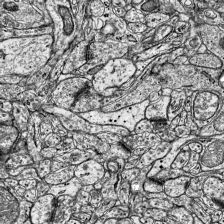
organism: Mouse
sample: Visual Cortex